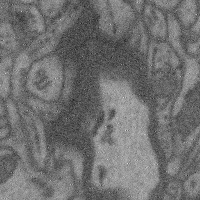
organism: Mouse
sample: Cerebral cortex